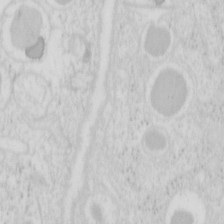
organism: Mouse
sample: Pancreas